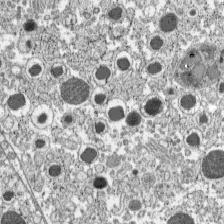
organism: C57BL Mouse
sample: Pancreatic islet